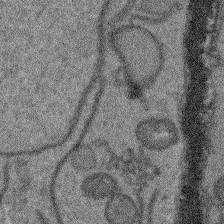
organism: Arabidopsis thaliana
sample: Root tip